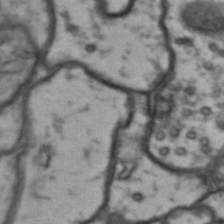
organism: Drosophila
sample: Brain